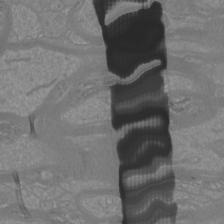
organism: Mouse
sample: Cortical neurons